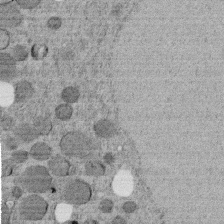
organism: C. elegans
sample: C. elegans embryo early stage